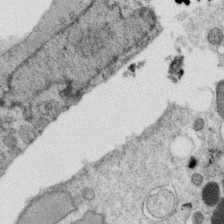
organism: C. elegans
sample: C. elegans oocyte; sperm cells